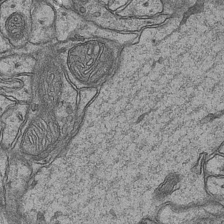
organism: Mouse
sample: CA1 Hippocampus